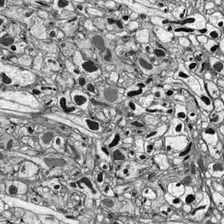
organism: Drosophila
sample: Optic lobe